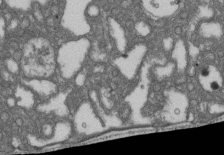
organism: Drosophila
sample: Nephrocyte